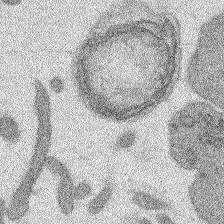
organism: Human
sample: HeLa cells